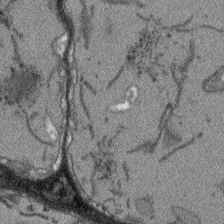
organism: Arabidopsis thaliana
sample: Root tip